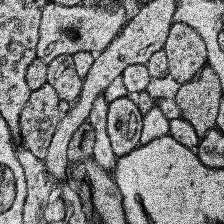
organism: Human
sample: Temporal Lobe